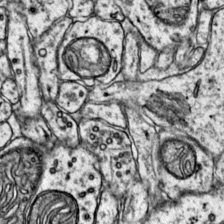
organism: Mouse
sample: Primary visual cortex